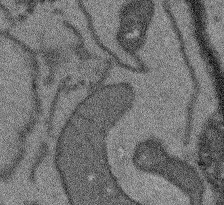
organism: Arabidopsis thaliana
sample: Root tip